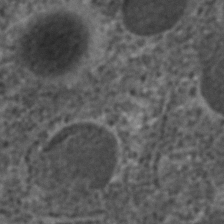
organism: C. elegans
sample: C. elegans embryo